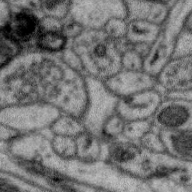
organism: Zebra finch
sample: Brain